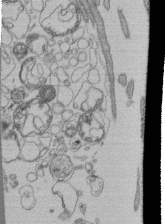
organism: Human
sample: Retinal organoid Rod and Cone cells